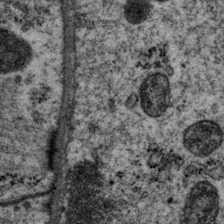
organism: P. pacificus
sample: Pharynx